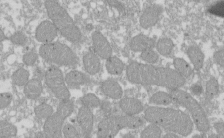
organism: Xenopus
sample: Cilia; centrioles in frog embryo cells